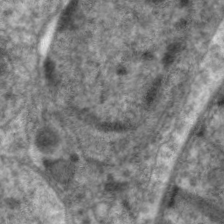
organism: C. elegans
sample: Pharynx